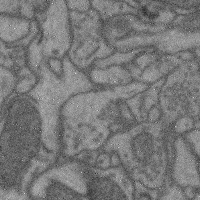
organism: Mouse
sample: Cerebral cortex